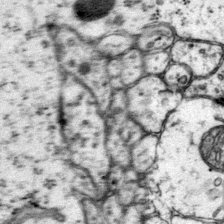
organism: Mouse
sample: Primary visual cortex